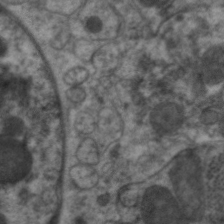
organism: C. elegans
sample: Pharynx